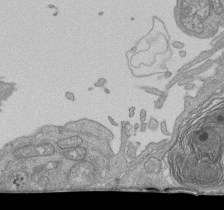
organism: Human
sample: Retinal organoid Rod and Cone cells